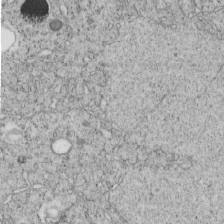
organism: C. elegans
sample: C. elegans embryo early stage